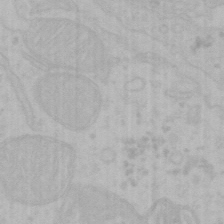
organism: Mouse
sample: Choroid plexus